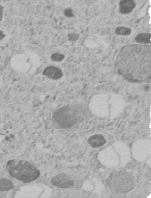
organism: C. elegans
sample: C. elegans embryo early stage